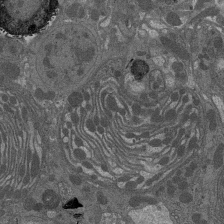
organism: Drosophila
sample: Antenna